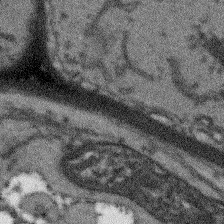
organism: Arabidopsis thaliana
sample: Root tip